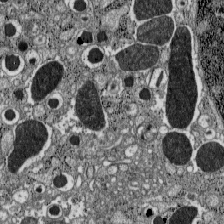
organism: C57BL Mouse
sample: Pancreatic islet